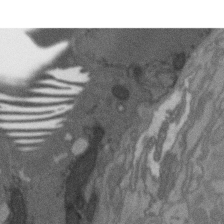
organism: C. elegans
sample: AFD neurons C. elegans